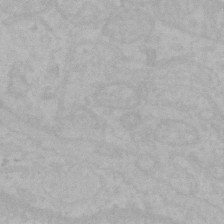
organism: Mouse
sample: Choroid plexus